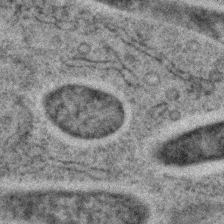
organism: C. elegans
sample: C. elegans embryo